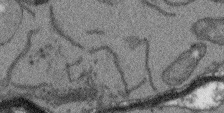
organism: Arabidopsis thaliana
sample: Root tip